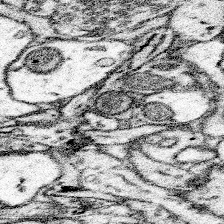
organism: Mouse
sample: Somatosensory cortex neuropil